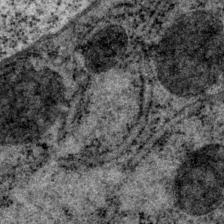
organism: P. pacificus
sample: Pharynx